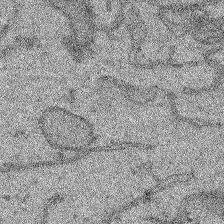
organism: Human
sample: HeLa cells